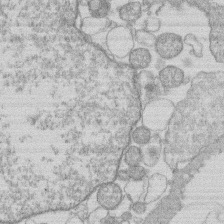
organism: Human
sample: Macrophage cells